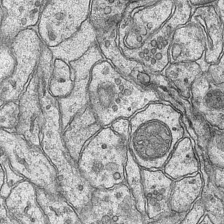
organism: Mouse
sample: CA1 Hippocampus